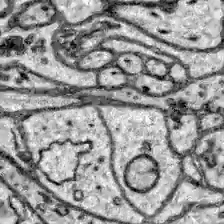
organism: Zebrafish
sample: Brain